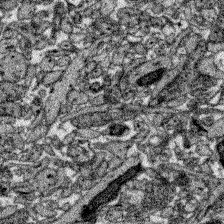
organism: Zebrafish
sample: Larval olfactory bulb